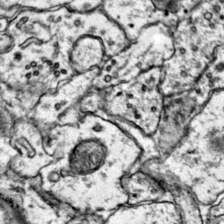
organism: Mouse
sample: Primary visual cortex